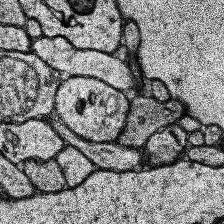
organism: Human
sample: Temporal Lobe